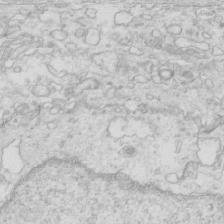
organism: Mouse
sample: Multiciliated cells